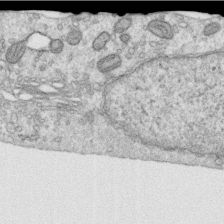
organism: Human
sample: Centriole in RPE cells